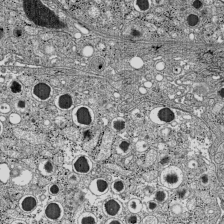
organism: C57BL Mouse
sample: Pancreatic islet